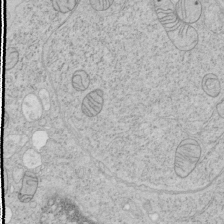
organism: Human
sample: Mitochondria in HCT116 cells